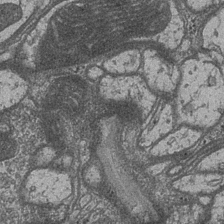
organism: Drosophila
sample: Optic medulla